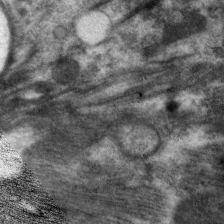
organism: C. elegans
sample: Pharynx